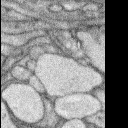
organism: Rabbit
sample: Retina